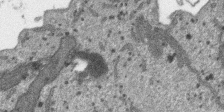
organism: Human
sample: Lung epithelial cells infected with SARS-CoV-2